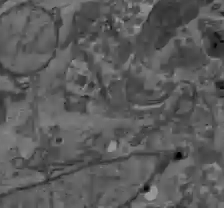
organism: C57BL Mouse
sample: Liver